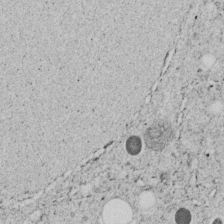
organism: C. elegans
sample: C. elegans embryo early stage